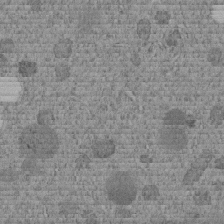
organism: C. elegans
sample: C. elegans embryo early stage